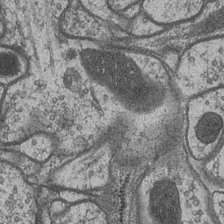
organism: Drosophila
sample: Optic medulla